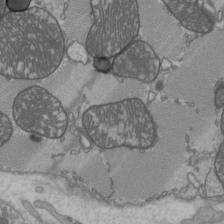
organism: C57BL Mouse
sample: Heart